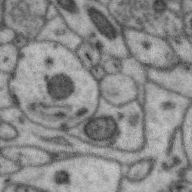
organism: Zebra finch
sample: Brain